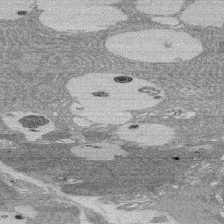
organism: Rat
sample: Salivary granule